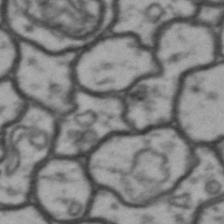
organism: Drosophila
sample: Brain